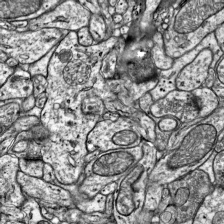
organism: Mouse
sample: Visual Cortex